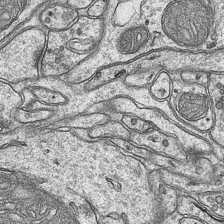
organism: Mouse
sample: CA1 Hippocampus